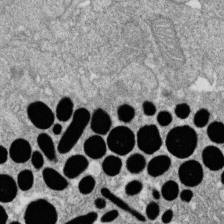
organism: Zebrafish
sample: Cilia; retinal pigment epithelium